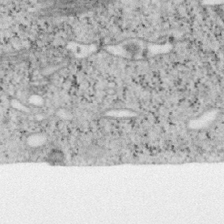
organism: Mouse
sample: OT-I killer T cells with ID8 ovarian cancer cells